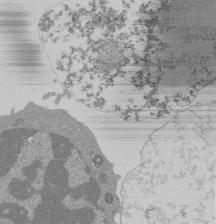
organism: Mouse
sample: Activated Pmel transgenic CD8+ T Cells